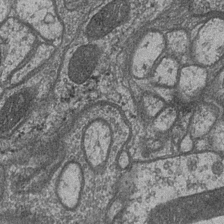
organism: Drosophila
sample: Optic medulla